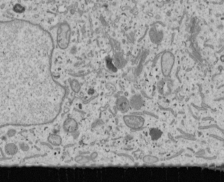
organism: Human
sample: Mitochondria in U2OS cells